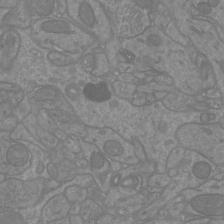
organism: Mouse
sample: Cortical neurons